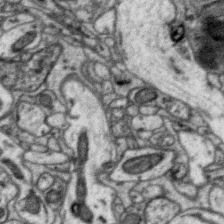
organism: Zebra finch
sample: Brain